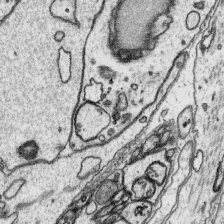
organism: Platynereis dumerilii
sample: Parapodia